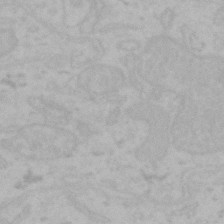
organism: Mouse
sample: Choroid plexus